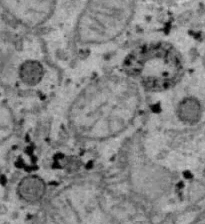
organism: Mouse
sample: Liver from an obese (ob/ob) mouse